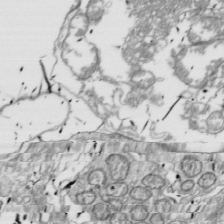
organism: Drosophila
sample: Cell division; meiosis; drosophila spermatocytes